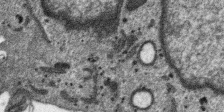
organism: Human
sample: Lung epithelial cells infected with SARS-CoV-2